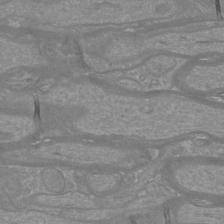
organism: Mouse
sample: Cortical neurons